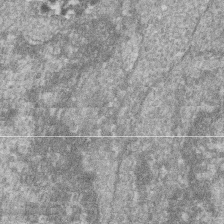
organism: Zebrafish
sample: Cilia; retinal pigment epithelium